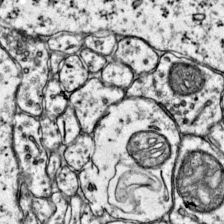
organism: Mouse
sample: Primary visual cortex